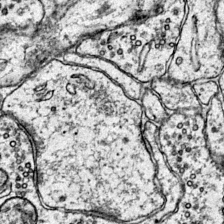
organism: Mouse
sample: Primary visual cortex